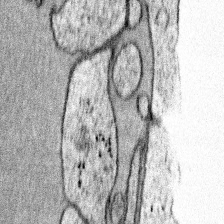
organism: Human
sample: HeLa cells